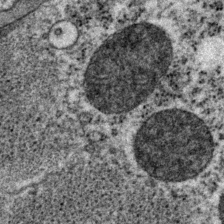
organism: P. pacificus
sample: Pharynx